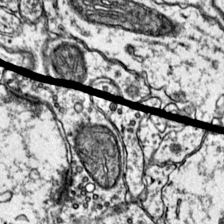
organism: Mouse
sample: Primary visual cortex